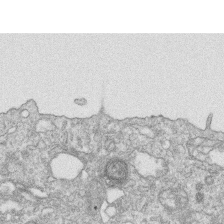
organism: Human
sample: HeLa cell HIV synapse